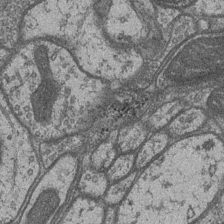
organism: Drosophila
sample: Optic medulla